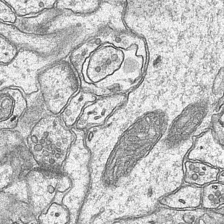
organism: Mouse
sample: CA1 Hippocampus